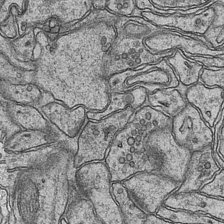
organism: Mouse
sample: CA1 Hippocampus